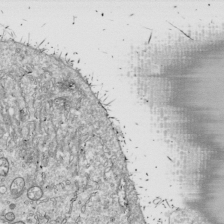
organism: Drosophila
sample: Cell division; meiosis; drosophila spermatocytes